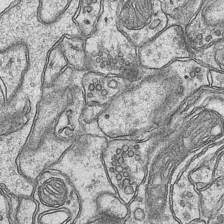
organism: Mouse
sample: CA1 Hippocampus